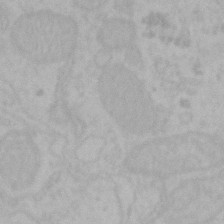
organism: Mouse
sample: Choroid plexus